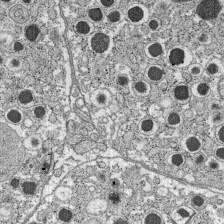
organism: C57BL Mouse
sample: Pancreatic islet